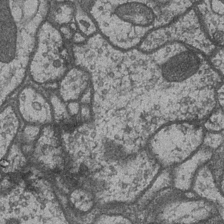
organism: Drosophila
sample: Optic medulla